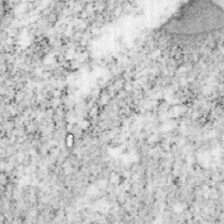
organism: Mouse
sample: OT-I killer T cells with ID8 ovarian cancer cells